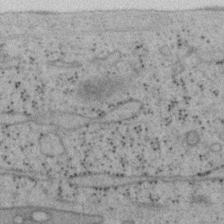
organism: Human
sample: HeLa cells